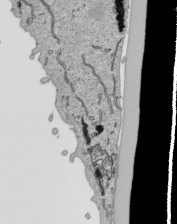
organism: Human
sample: Mitochondria in HCT116 cells